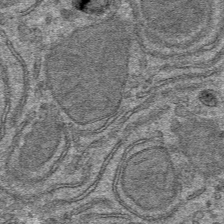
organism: Mouse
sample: Mouse hepatocytes